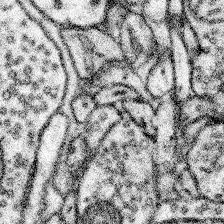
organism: Mouse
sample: Somatosensory cortex neuropil